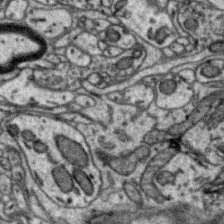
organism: Zebra finch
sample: Brain